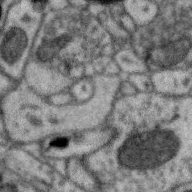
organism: Zebra finch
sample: Brain